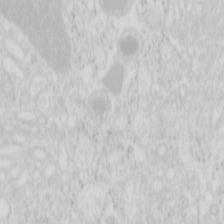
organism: Mouse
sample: Pancreas